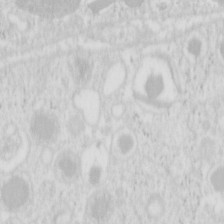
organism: Mouse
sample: Pancreas